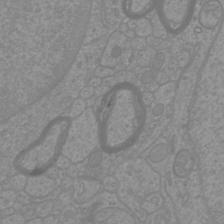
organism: Mouse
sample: Cortical neurons